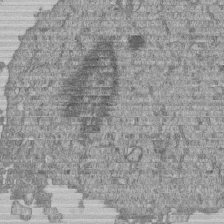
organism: Human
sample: MDA-MB-231 cells